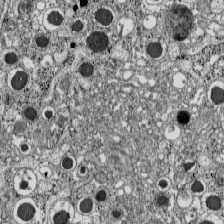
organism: C57BL Mouse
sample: Pancreatic islet